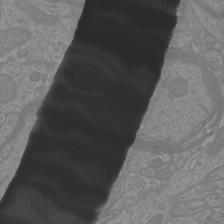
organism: Mouse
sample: Cortical neurons